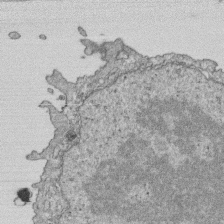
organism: Human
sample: HeLa cell HIV synapse